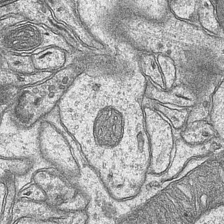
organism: Mouse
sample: CA1 Hippocampus